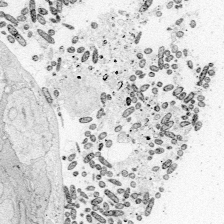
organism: Zebrafish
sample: Whole-Brain